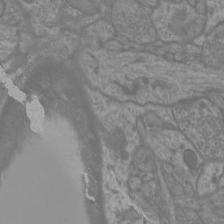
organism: Mouse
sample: Cortical neurons